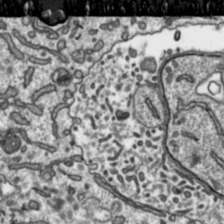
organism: Toxoplasma gondii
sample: Parasites in a vacuole inside a host cell